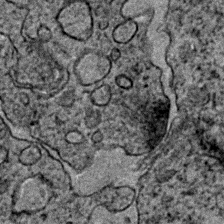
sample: Trachea